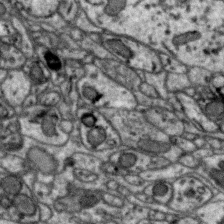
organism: Zebra finch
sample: Brain